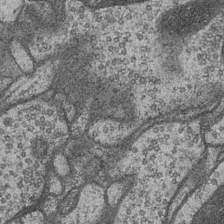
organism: Drosophila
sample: Optic medulla